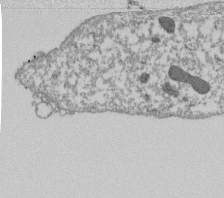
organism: Dictyostelium discoideum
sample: Dictyostelium multivesicular bodies